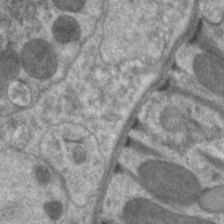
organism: C. elegans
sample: Pharynx